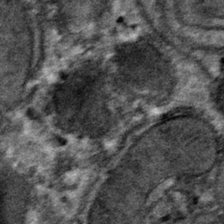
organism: Mouse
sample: Mouse hepatocytes